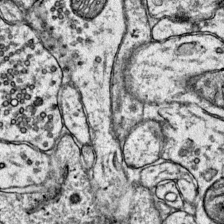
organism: Mouse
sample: Primary visual cortex